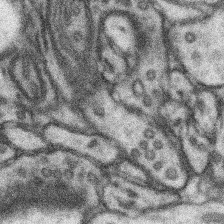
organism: Mouse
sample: Somatosensory cortex neuropil